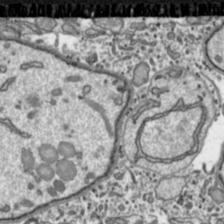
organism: Toxoplasma gondii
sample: Parasites in a vacuole inside a host cell